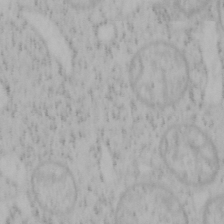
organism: Mouse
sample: OT-I killer T cells with ID8 ovarian cancer cells